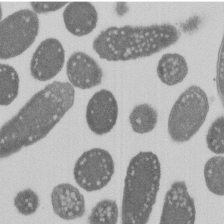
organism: E. coli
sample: Bacterial nucleoid